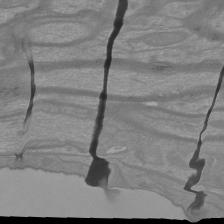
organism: Mouse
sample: Cortical neurons